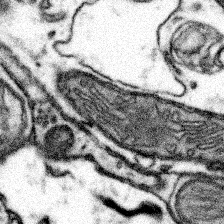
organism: Mouse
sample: Somatosensory cortex neuropil